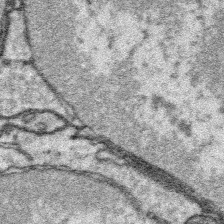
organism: Platynereis dumerilii